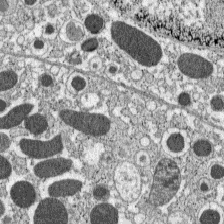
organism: C57BL Mouse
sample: Pancreatic islet